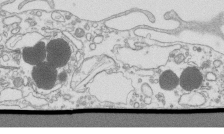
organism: Mouse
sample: Macrophages